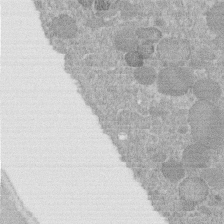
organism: C. elegans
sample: C. elegans embryo early stage